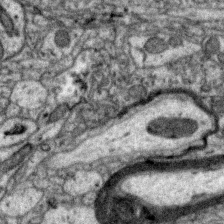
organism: Zebra finch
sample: Brain